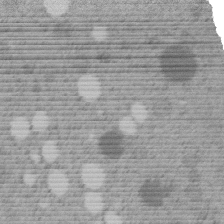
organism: C. elegans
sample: C. elegans embryo early stage